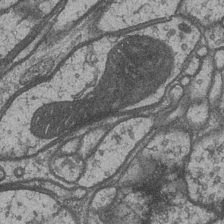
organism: Drosophila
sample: Optic medulla